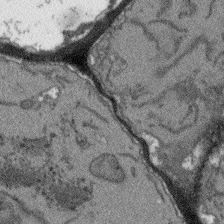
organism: Arabidopsis thaliana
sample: Root tip